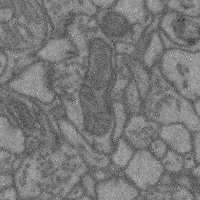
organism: Mouse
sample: Cerebral cortex